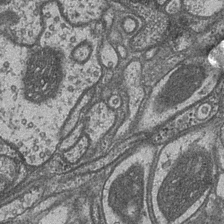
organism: Drosophila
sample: Optic medulla